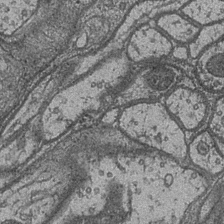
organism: Drosophila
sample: Optic medulla